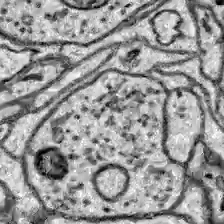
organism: Zebrafish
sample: Brain